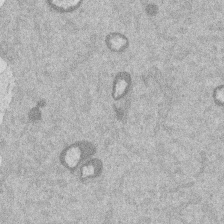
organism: Mouse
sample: Dividing mouse embryo 1 cell stage